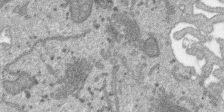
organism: Human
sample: Lung epithelial cells infected with SARS-CoV-2